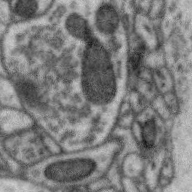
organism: Zebra finch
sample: Brain